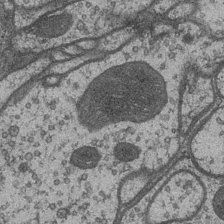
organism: Drosophila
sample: Optic medulla